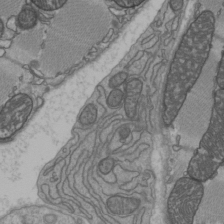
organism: C57BL Mouse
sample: Heart